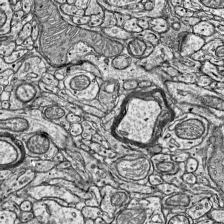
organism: Mouse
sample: Visual Cortex